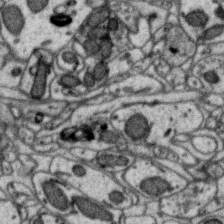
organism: Zebra finch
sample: Brain